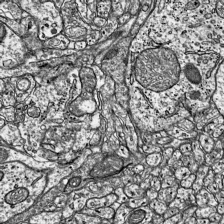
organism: Mouse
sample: Visual Cortex